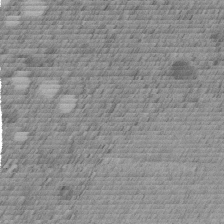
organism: C. elegans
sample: C. elegans embryo early stage